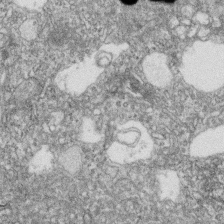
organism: Zebrafish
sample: Cilia; retinal pigment epithelium